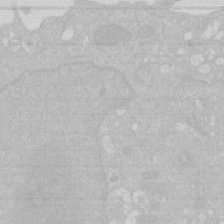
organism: Human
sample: HIV infected U937 cells